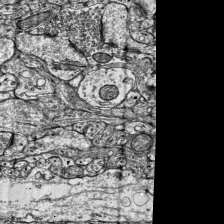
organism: Mouse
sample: Visual Cortex